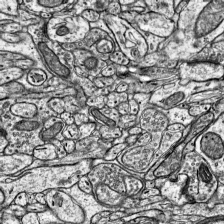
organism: Mouse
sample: Visual Cortex